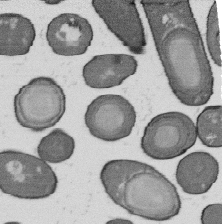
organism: B. subtilis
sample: Bacterial spore